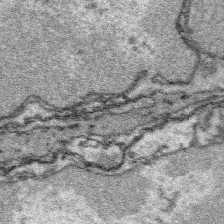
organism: Platynereis dumerilii